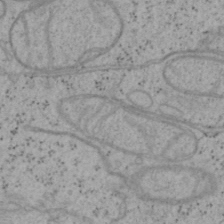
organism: Human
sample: HeLa cells